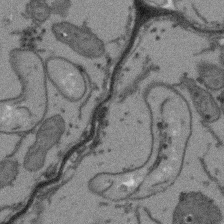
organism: Arabidopsis thaliana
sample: Root tip